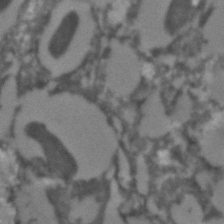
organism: C. elegans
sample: C. elegans embryo